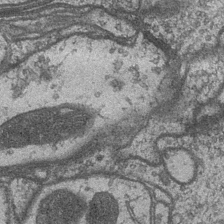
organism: Drosophila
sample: Optic medulla